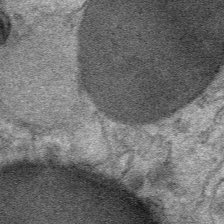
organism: Mouse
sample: Mouse Salivary gland